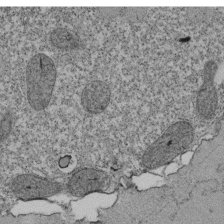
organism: Tetrahymena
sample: Cilia in tetrahymena